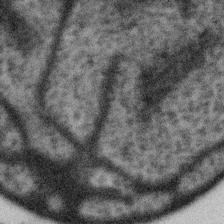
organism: Gemmata obscuriglobus